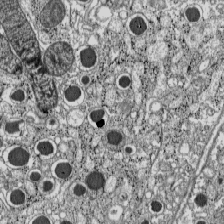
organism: C57BL Mouse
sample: Pancreatic islet